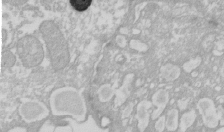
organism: Xenopus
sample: Cilia; centrioles in frog embryo cells